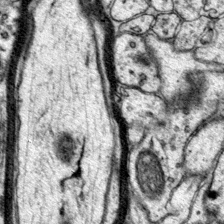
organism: Mouse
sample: Primary visual cortex